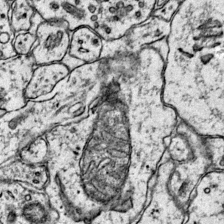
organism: Mouse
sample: Primary visual cortex